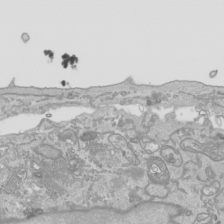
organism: Human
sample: Mitochondria in HCT116 cells